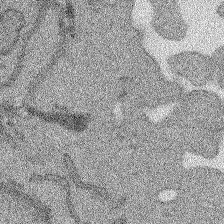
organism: Human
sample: HeLa cells